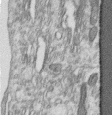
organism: Human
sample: Centriole in RPE cells